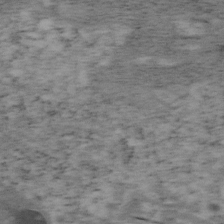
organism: Mouse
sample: OT-I killer T cells with ID8 ovarian cancer cells